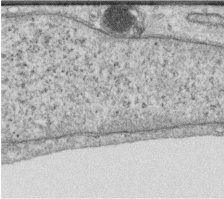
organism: Human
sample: Centriole in RPE cells